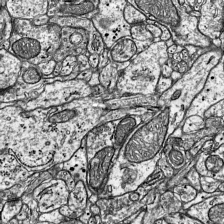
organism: Mouse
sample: Visual Cortex